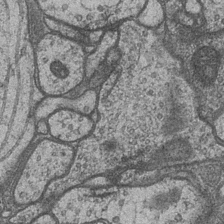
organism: Drosophila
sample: Optic medulla